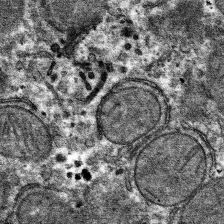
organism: Mouse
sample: Mouse hepatocytes